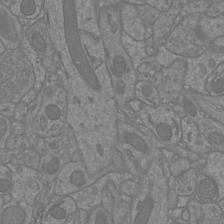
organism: Mouse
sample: Cortical neurons